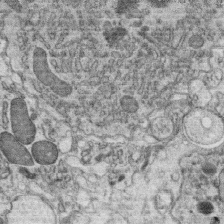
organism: C. elegans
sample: C. elegans oocyte; sperm cells